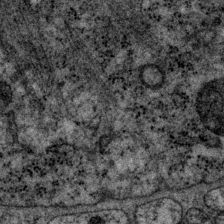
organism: P. pacificus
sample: Pharynx